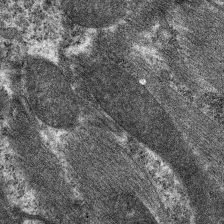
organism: C. elegans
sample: Pharynx